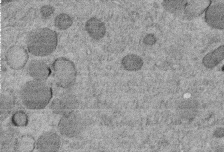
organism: C. elegans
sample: C. elegans embryo early stage